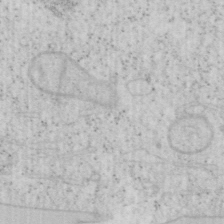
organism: Human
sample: HeLa cells